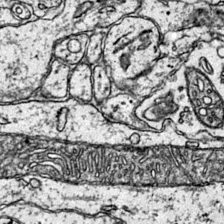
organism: Mouse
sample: Primary visual cortex